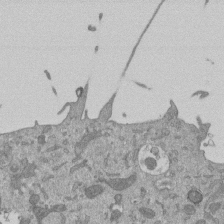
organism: Mouse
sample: ED-1 cell nuclei; centrioles